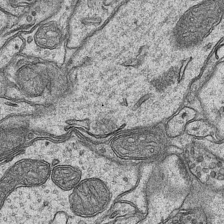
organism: Mouse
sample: CA1 Hippocampus